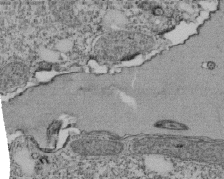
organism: Tetrahymena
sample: Cilia in tetrahymena